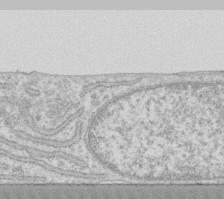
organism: Human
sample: Fibroblast cells